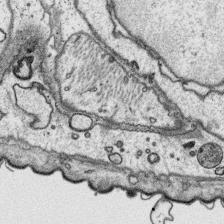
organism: Platynereis dumerilii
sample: Parapodia